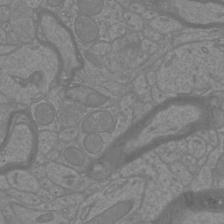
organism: Mouse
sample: Cortical neurons